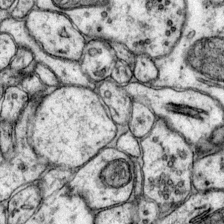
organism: Mouse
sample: Primary visual cortex